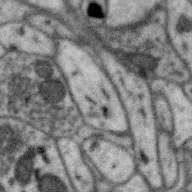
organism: Zebra finch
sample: Brain